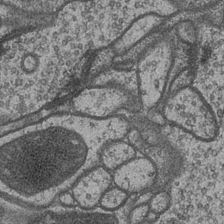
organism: Drosophila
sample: Optic medulla